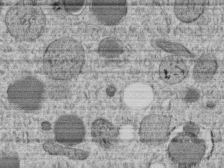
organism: C. elegans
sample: C. elegans embryo early stage